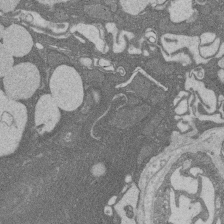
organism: Rat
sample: Salivary granule